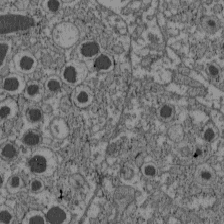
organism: C57BL Mouse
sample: Pancreatic islet